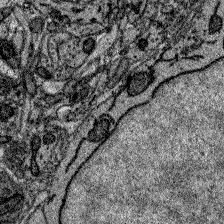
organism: Zebrafish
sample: Larval olfactory bulb